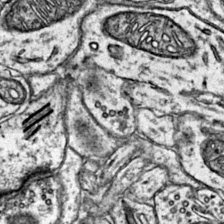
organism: Mouse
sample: Primary visual cortex